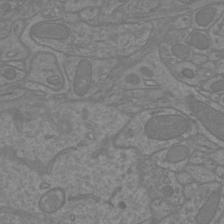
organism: Mouse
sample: Cortical neurons